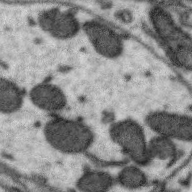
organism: Zebra finch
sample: Brain